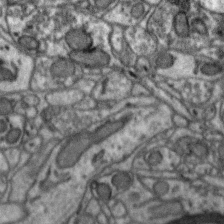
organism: Zebra finch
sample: Brain